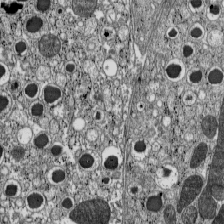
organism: C57BL Mouse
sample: Pancreatic islet